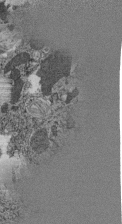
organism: C. elegans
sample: C. elegans pharynx